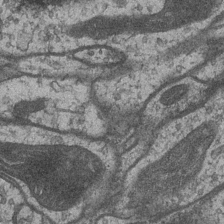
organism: Drosophila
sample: Optic medulla